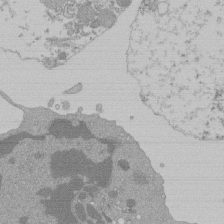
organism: Mouse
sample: Activated Pmel transgenic CD8+ T Cells